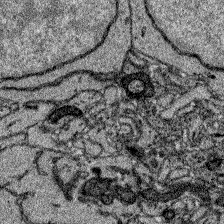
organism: Zebrafish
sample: Larval olfactory bulb